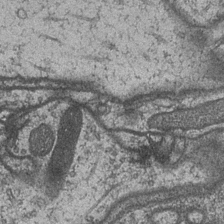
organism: Drosophila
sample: Optic medulla